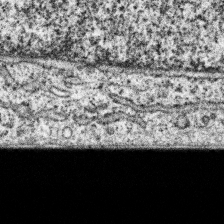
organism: Human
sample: HeLa cells